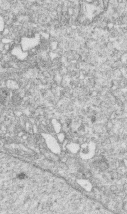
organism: Human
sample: HeLa cell HIV synapse